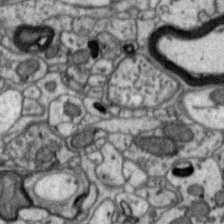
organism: Zebra finch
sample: Brain